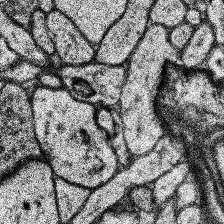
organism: Human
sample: Temporal Lobe